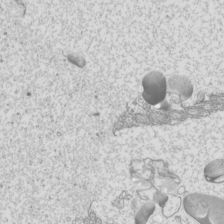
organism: Mouse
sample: Cilia; mouse epididymis